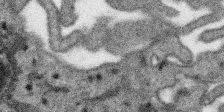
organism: Human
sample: Lung epithelial cells infected with SARS-CoV-2